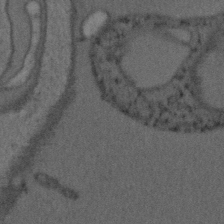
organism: Human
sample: HeLa cells